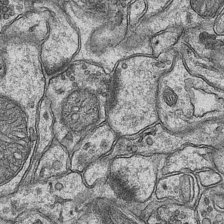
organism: Mouse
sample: CA1 Hippocampus